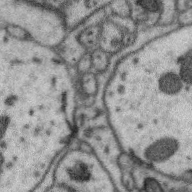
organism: Zebra finch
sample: Brain